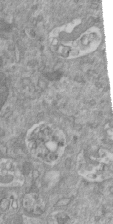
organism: Mouse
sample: ED-1 cell nuclei; centrioles